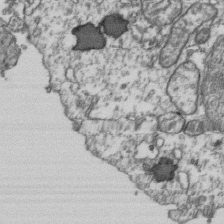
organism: Human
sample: Activated Jurkat CD4+ T cells